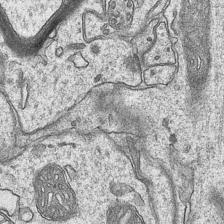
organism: Mouse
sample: CA1 Hippocampus